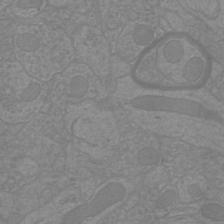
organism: Mouse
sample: Cortical neurons